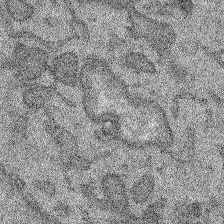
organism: Human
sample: HeLa cells